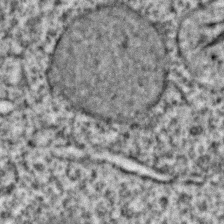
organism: C. elegans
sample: C. elegans embryo